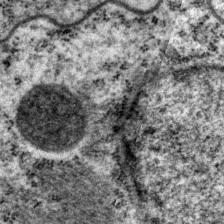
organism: P. pacificus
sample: Pharynx